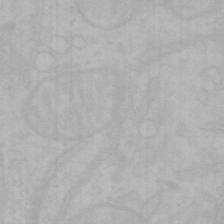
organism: Mouse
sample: Choroid plexus